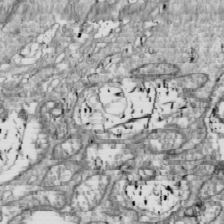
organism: Drosophila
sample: Cell division; meiosis; drosophila spermatocytes